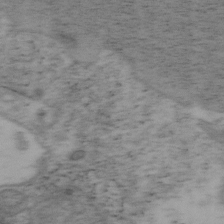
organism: Mouse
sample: OT-I killer T cells with ID8 ovarian cancer cells